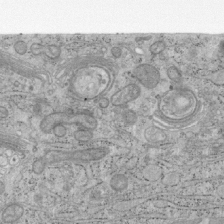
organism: Human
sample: HeLa cells